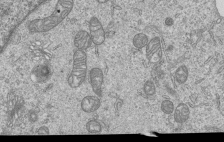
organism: Human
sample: MDA-MB-231 cells